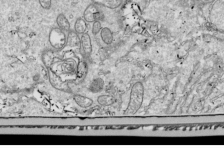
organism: Drosophila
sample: Cell division; meiosis; drosophila spermatocytes